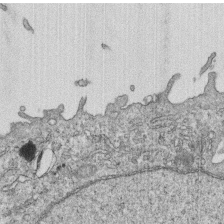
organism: Human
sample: HeLa cell HIV synapse